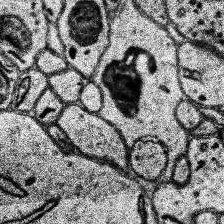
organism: Human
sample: Temporal Lobe